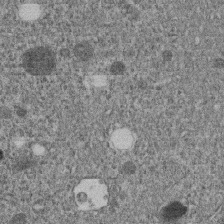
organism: C. elegans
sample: C. elegans embryo early stage